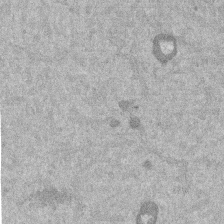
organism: Mouse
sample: Dividing mouse embryo 1 cell stage